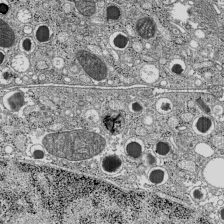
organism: C57BL Mouse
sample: Pancreatic islet